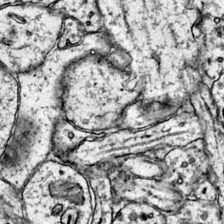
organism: Mouse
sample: Primary visual cortex